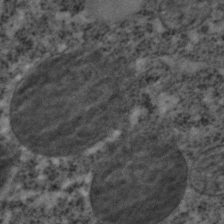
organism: C. elegans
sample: C. elegans embryo